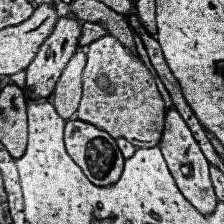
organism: Human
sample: Temporal Lobe